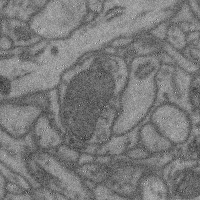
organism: Mouse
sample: Cerebral cortex